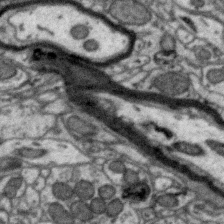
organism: Zebra finch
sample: Brain